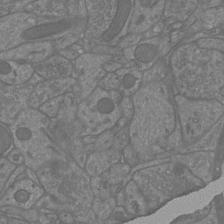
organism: Mouse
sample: Cortical neurons